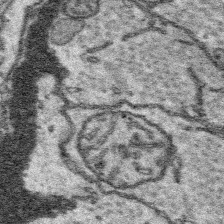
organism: Platynereis dumerilii